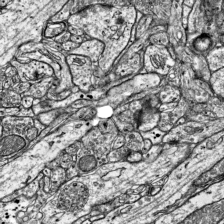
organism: Mouse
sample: Visual Cortex